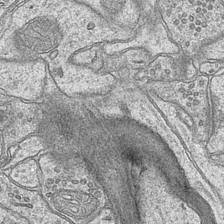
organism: Mouse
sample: CA1 Hippocampus